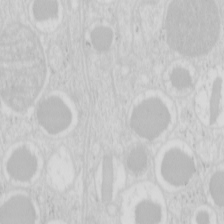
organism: Mouse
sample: Pancreas